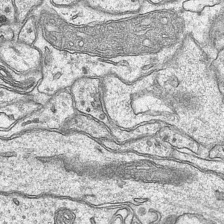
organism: Mouse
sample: CA1 Hippocampus